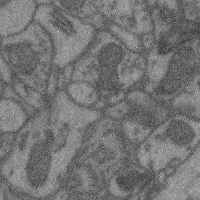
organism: Mouse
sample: Cerebral cortex